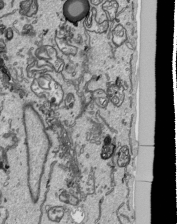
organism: Human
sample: Mitochondria in HCT116 cells